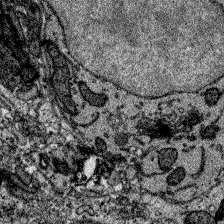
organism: Zebrafish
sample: Larval olfactory bulb